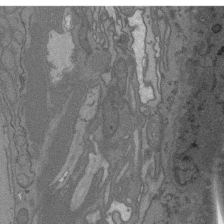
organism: C. elegans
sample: AFD neurons C. elegans